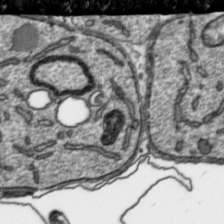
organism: Toxoplasma gondii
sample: Parasites in a vacuole inside a host cell